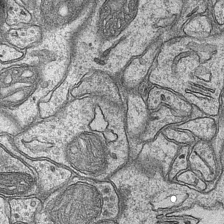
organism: Mouse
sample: CA1 Hippocampus